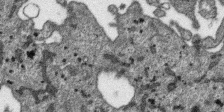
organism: Human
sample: Lung epithelial cells infected with SARS-CoV-2